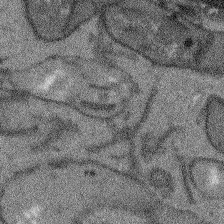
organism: Arabidopsis thaliana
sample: Root tip